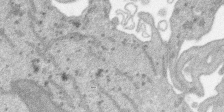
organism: Human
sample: Lung epithelial cells infected with SARS-CoV-2